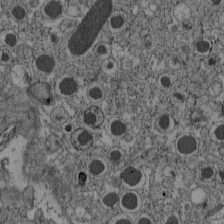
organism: C57BL Mouse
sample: Pancreatic islet